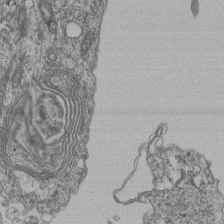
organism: Human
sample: Retinal organoid Rod and Cone cells